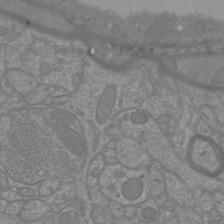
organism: Mouse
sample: Cortical neurons